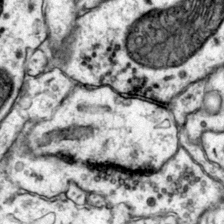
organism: Mouse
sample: Primary visual cortex